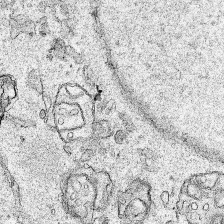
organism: Human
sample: Mitochondria in HCT116 cells